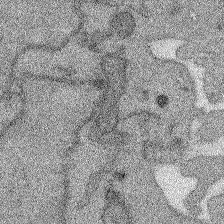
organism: Human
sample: HeLa cells